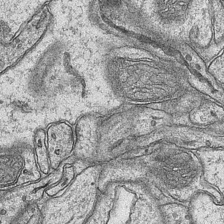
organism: Mouse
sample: CA1 Hippocampus